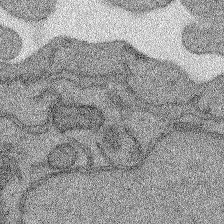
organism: Human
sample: HeLa cells